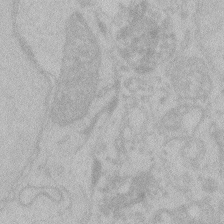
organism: Zebrafish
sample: Macrophage infected with Toxoplasma gondii